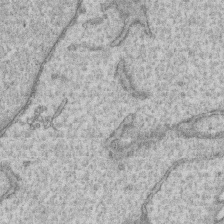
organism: Human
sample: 1205lu cells